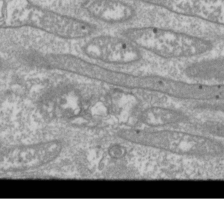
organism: Drosophila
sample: Cell division; meiosis; drosophila spermatocytes